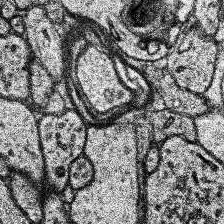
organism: Human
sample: Temporal Lobe